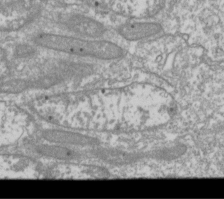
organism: Drosophila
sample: Cell division; meiosis; drosophila spermatocytes